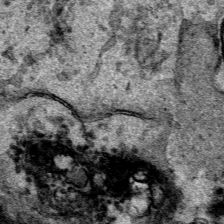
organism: Human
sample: Mitochondria in HCT116 cells